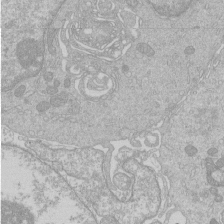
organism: Human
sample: Macrophage cells